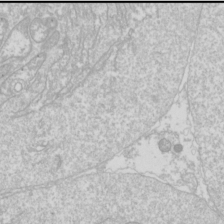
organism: Drosophila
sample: Cell division; meiosis; drosophila spermatocytes